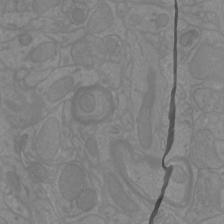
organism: Mouse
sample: Cortical neurons